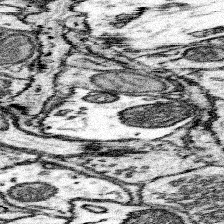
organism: Mouse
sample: Somatosensory cortex neuropil